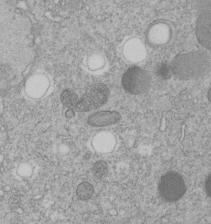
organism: C. elegans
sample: C. elegans embryo early stage